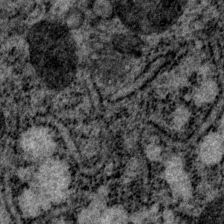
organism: P. pacificus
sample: Pharynx